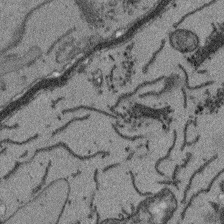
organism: Arabidopsis thaliana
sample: Root tip